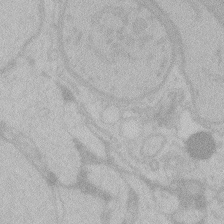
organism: Zebrafish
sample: Macrophage infected with Toxoplasma gondii